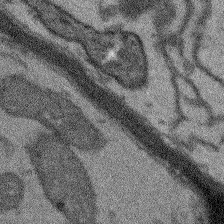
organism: Arabidopsis thaliana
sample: Root tip